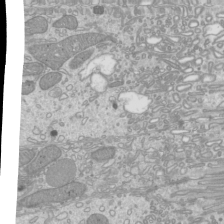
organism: Mouse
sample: Cilia; mouse epididymis